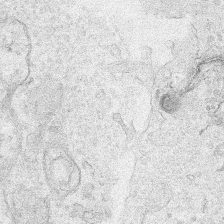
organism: Human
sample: Mitochondria in HCT116 cells